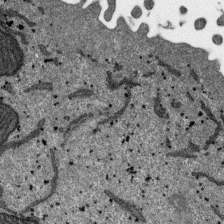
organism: Human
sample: Lung epithelial cells, uninfected (mock) control